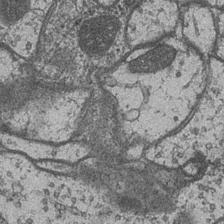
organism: Drosophila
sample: Optic medulla